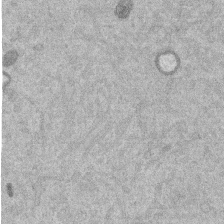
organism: Mouse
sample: Dividing mouse embryo 1 cell stage